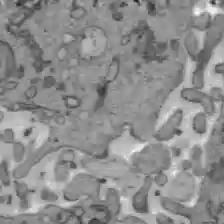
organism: C57BL Mouse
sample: Liver